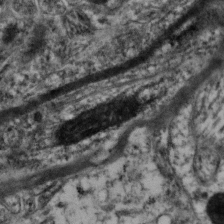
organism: Mouse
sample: Neocortex